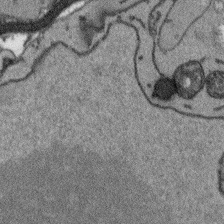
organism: Arabidopsis thaliana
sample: Root tip